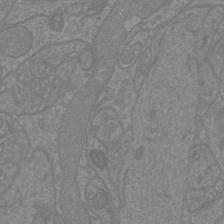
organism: Mouse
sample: Cortical neurons